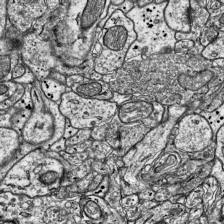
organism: Mouse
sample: Visual Cortex